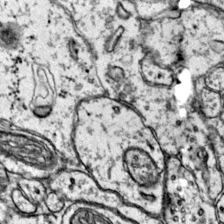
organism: Mouse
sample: Primary visual cortex